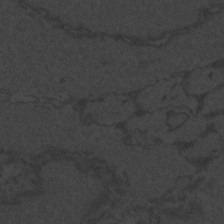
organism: Zebrafish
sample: Macrophage infected with Toxoplasma gondii